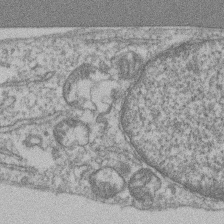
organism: Mouse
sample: T cell stromal cell synapse